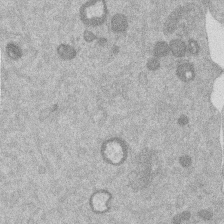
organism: Mouse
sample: Dividing mouse embryo 1 cell stage